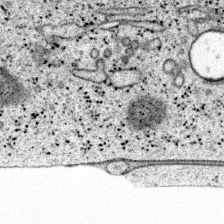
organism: Human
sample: HeLa cells